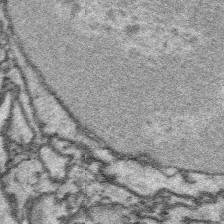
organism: Platynereis dumerilii